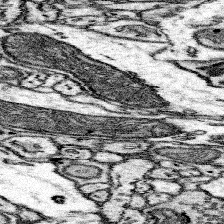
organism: Mouse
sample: Somatosensory cortex neuropil